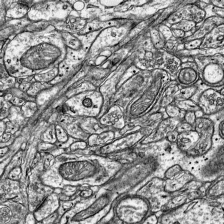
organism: Mouse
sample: Visual Cortex